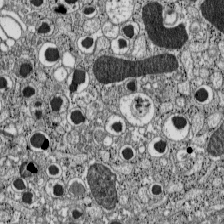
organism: C57BL Mouse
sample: Pancreatic islet